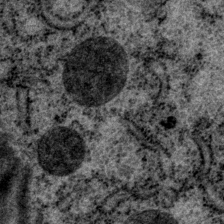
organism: P. pacificus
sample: Pharynx